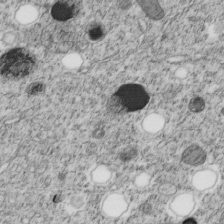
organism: C. elegans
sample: C. elegans embryo early stage